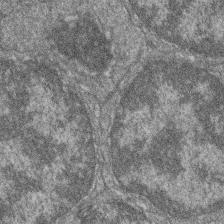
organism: Zebrafish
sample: Cilia; retinal pigment epithelium